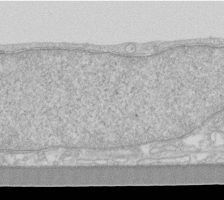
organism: Human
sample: Fibroblast cells